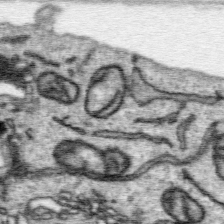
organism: Human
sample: HeLa cells